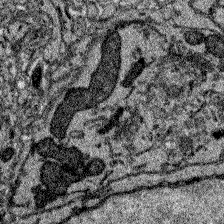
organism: Zebrafish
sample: Larval olfactory bulb